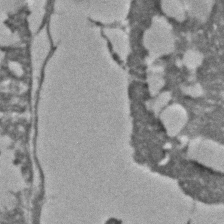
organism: C. elegans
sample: C. elegans embryo